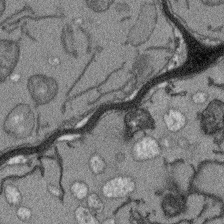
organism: Arabidopsis thaliana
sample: Root tip